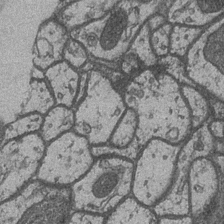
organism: Drosophila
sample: Optic medulla